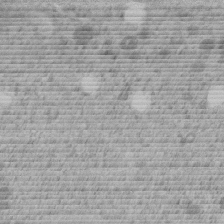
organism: C. elegans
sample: C. elegans embryo early stage